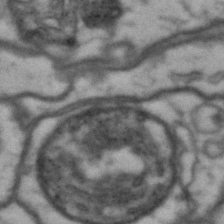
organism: Drosophila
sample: Brain